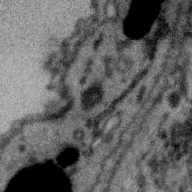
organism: Zebra finch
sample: Brain